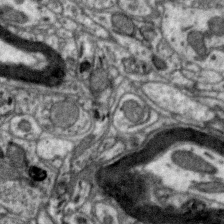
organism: Zebra finch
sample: Brain